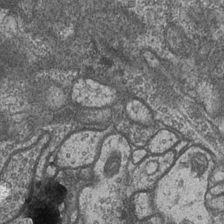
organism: Drosophila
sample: Optic medulla